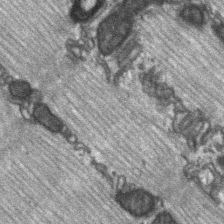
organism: C57BL Mouse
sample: Soleus